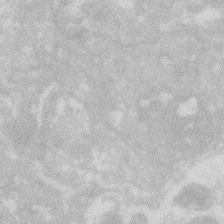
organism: Zebrafish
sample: Macrophage